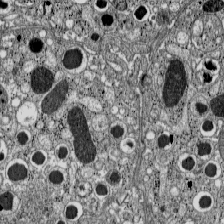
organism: C57BL Mouse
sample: Pancreatic islet